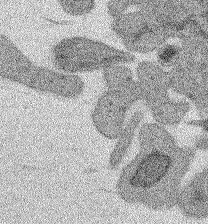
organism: Human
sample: HeLa cells